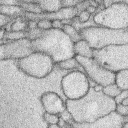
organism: Rabbit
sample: Retina